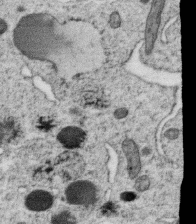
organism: C. elegans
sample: C. elegans oocyte; sperm cells